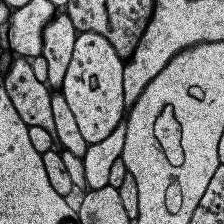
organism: Human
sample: Temporal Lobe